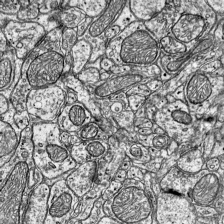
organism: Mouse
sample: Visual Cortex